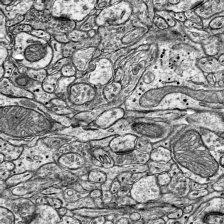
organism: Mouse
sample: Visual Cortex